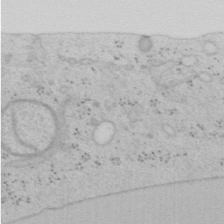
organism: Human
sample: HeLa cells